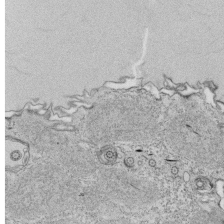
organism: Tetrahymena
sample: Cilia in tetrahymena